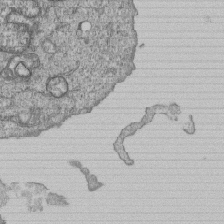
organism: Human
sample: MDA-MB-231 cells